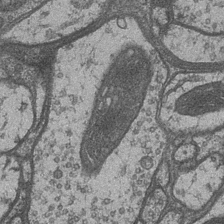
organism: Drosophila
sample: Optic medulla